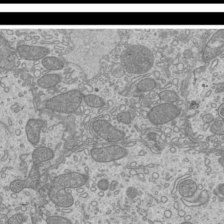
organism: Mouse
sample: Cilia; mouse epididymis